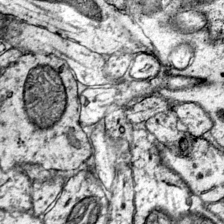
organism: Mouse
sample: Primary visual cortex